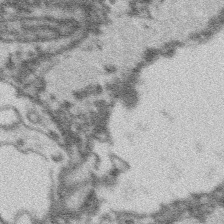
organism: Platynereis dumerilii